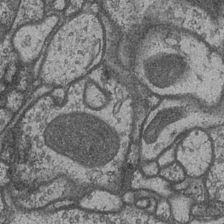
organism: Drosophila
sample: Optic medulla